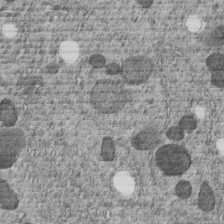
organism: C. elegans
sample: C. elegans embryo early stage